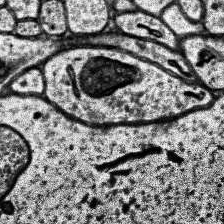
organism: Human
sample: Temporal Lobe